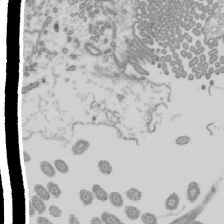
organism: Mouse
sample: Cilia; mouse epididymis